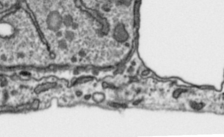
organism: Toxoplasma gondii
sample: Parasites in a vacuole inside a host cell